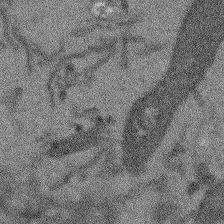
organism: Arabidopsis thaliana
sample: Root tip